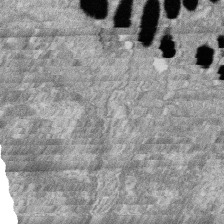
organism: Zebrafish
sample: Cilia; retinal pigment epithelium